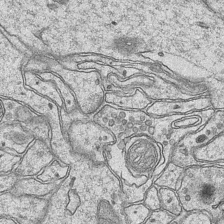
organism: Mouse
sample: CA1 Hippocampus